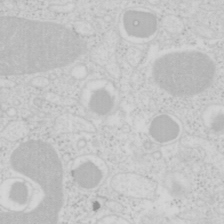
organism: Mouse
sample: Pancreas